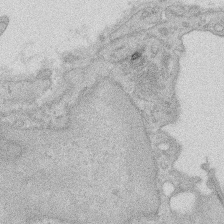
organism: Rat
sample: Salivary granule